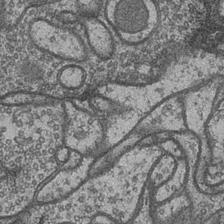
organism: Drosophila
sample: Optic medulla